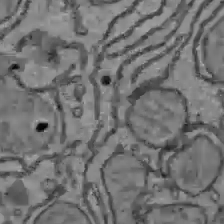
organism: C57BL Mouse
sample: Liver